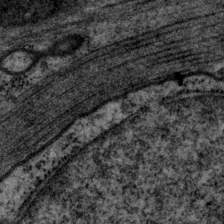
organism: P. pacificus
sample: Pharynx